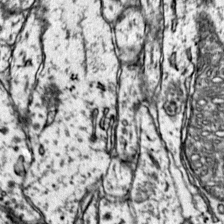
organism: Mouse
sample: Primary visual cortex